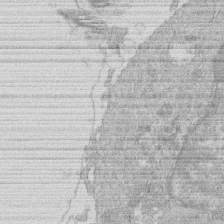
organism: Human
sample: Macrophage cells